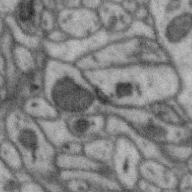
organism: Zebra finch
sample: Brain